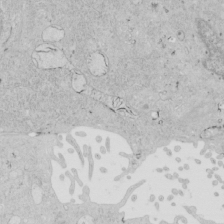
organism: Human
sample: Mitochondria in HCT116 cells